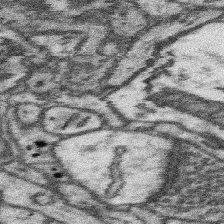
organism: Mouse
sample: Somatosensory cortex neuropil